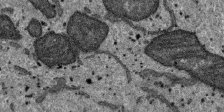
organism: Human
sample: Lung epithelial cells, uninfected (mock) control